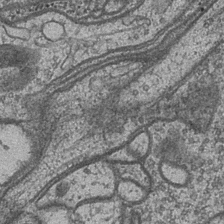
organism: Drosophila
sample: Optic medulla